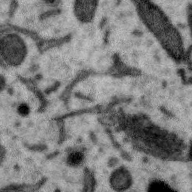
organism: Zebra finch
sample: Brain